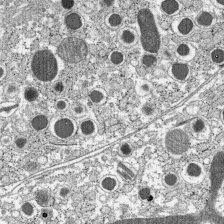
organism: C57BL Mouse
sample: Pancreatic islet